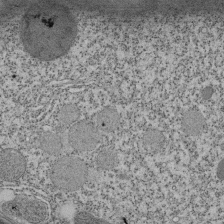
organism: Tetrahymena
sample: Cilia in tetrahymena